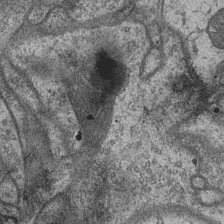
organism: Drosophila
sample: Optic medulla